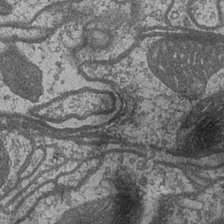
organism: Drosophila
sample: Optic medulla